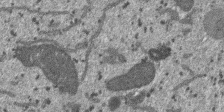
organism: Human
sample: Lung epithelial cells infected with SARS-CoV-2